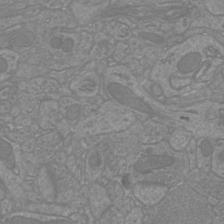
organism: Mouse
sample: Cortical neurons